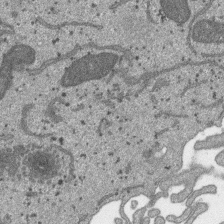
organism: Human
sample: Lung epithelial cells infected with SARS-CoV-2